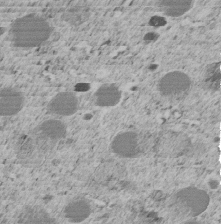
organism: C. elegans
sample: C. elegans embryo early stage